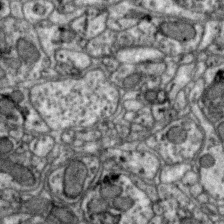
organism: Zebra finch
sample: Brain